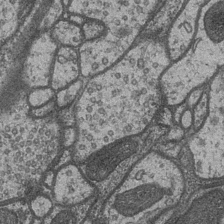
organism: Drosophila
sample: Optic medulla